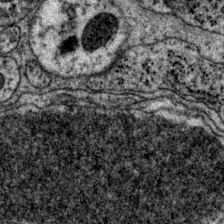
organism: P. pacificus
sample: Pharynx